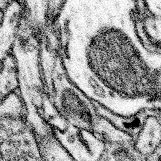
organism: Mouse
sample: Somatosensory cortex neuropil